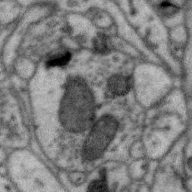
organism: Zebra finch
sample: Brain